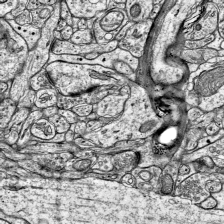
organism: Mouse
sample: Visual Cortex